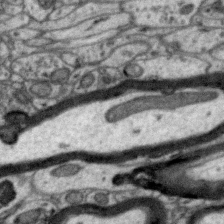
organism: Zebra finch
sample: Brain